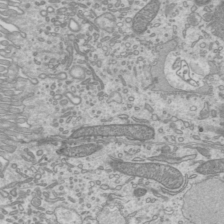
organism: Mouse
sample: Cilia; mouse epididymis